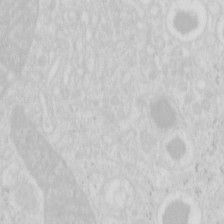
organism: Mouse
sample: Pancreas